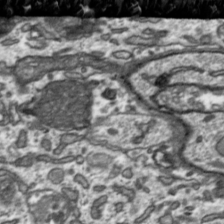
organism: Toxoplasma gondii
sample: Parasites in a vacuole inside a host cell